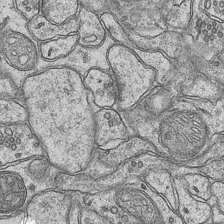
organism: Mouse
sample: CA1 Hippocampus